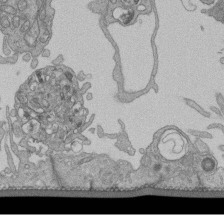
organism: Human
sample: Retinal organoid Rod and Cone cells